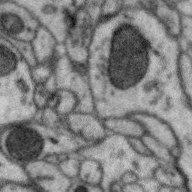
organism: Zebra finch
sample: Brain